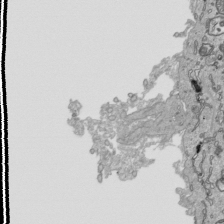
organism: Human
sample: Mitochondria in HCT116 cells